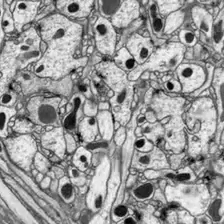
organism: Drosophila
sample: Optic lobe